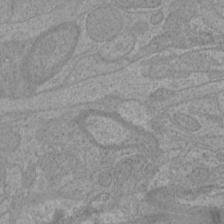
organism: Mouse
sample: Cortical neurons